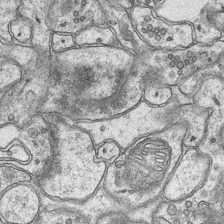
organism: Mouse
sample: CA1 Hippocampus